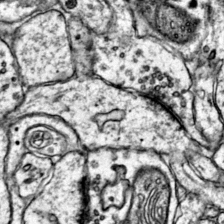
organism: Mouse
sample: Primary visual cortex